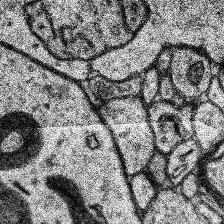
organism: Human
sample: Temporal Lobe